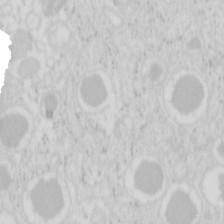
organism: Mouse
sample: Pancreas